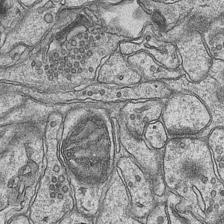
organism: Mouse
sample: CA1 Hippocampus